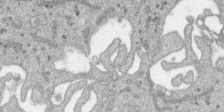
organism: Human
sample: Lung epithelial cells infected with SARS-CoV-2